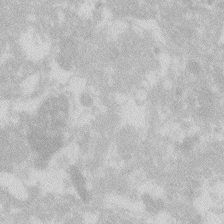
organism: Zebrafish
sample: Macrophage